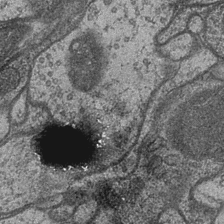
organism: Drosophila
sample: Optic medulla